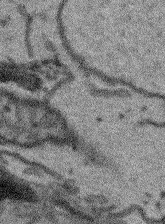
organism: Arabidopsis thaliana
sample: Root tip